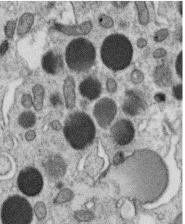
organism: C. elegans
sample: C. elegans oocyte; sperm cells